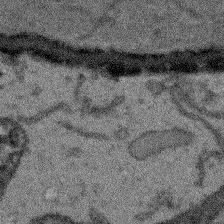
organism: Arabidopsis thaliana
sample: Root tip